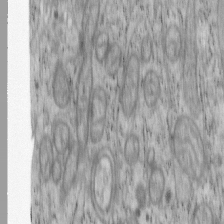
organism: Human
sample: HeLa cells